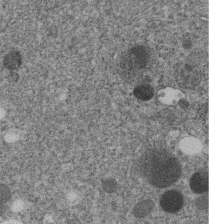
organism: C. elegans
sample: C. elegans embryo early stage